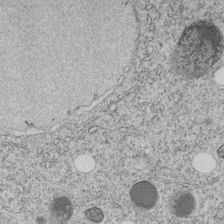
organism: C. elegans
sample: C. elegans embryo early stage